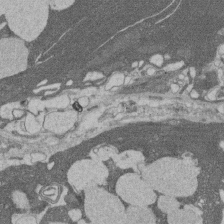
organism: Rat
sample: Salivary granule